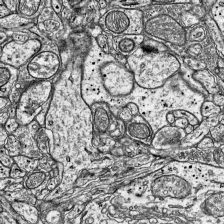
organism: Mouse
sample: Visual Cortex